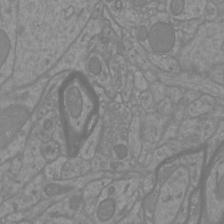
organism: Mouse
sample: Cortical neurons